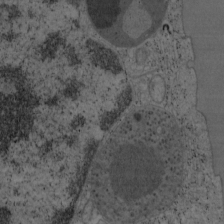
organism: Mouse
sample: OT-I killer T cells with ID8 ovarian cancer cells